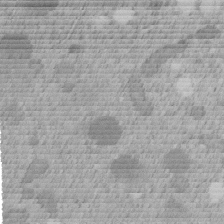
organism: C. elegans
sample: C. elegans embryo early stage